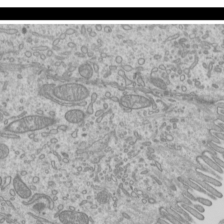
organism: Mouse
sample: Cilia; mouse epididymis